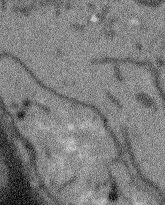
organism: Arabidopsis thaliana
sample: Root tip